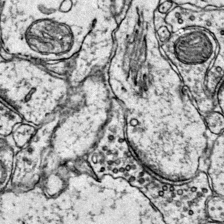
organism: Mouse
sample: Primary visual cortex